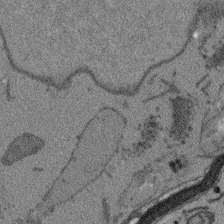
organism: Arabidopsis thaliana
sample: Root tip